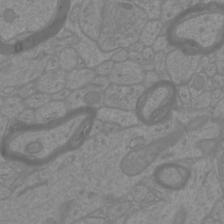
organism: Mouse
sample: Cortical neurons